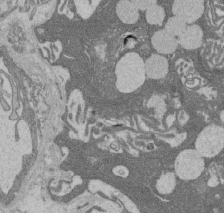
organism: Rat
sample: Salivary granule